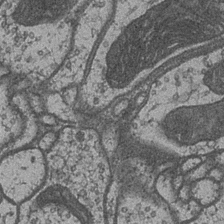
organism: Drosophila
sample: Optic medulla